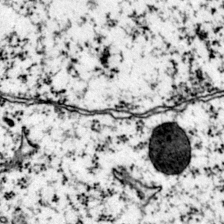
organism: Mouse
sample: Primary visual cortex